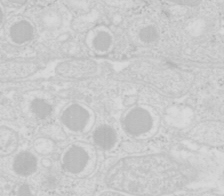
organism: Mouse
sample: Pancreas